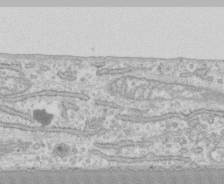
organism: Human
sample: CRL-1474